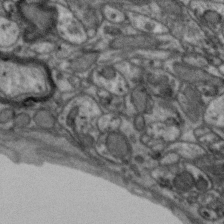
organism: Zebra finch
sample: Brain